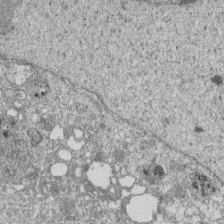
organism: Human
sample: HeLa cell HIV synapse